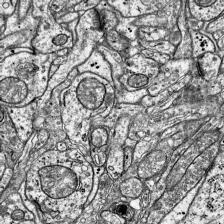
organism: Mouse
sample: Visual Cortex